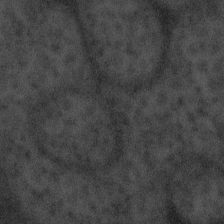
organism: Tuwongella immobilis